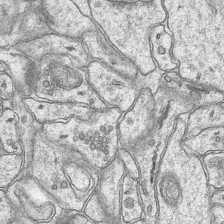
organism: Mouse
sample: CA1 Hippocampus